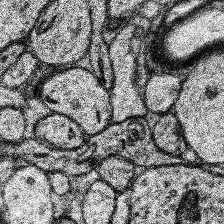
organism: Human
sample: Temporal Lobe